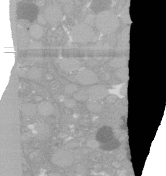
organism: C. elegans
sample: C. elegans oocyte; sperm cells